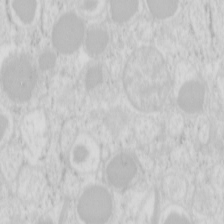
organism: Mouse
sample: Pancreas